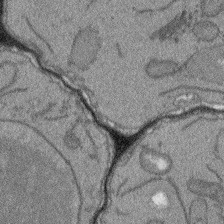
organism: Arabidopsis thaliana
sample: Root tip